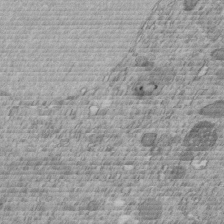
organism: C. elegans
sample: C. elegans embryo early stage